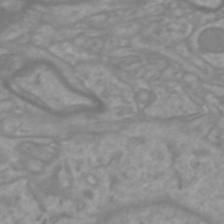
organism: Mouse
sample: Cortical neurons